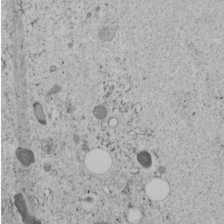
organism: C. elegans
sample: C. elegans embryo early stage